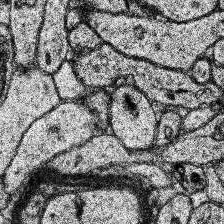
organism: Human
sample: Temporal Lobe